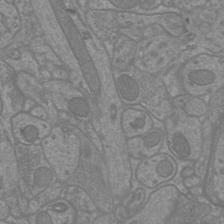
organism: Mouse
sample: Cortical neurons